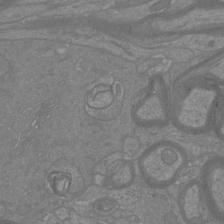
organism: Mouse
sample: Cortical neurons